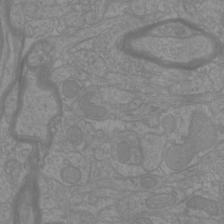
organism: Mouse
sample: Cortical neurons